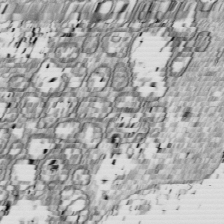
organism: Drosophila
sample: Cell division; meiosis; drosophila spermatocytes